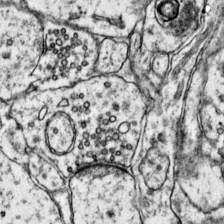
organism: Mouse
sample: Primary visual cortex